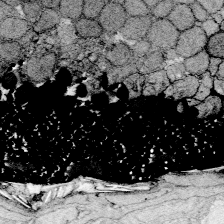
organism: Zebrafish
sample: Whole-Brain